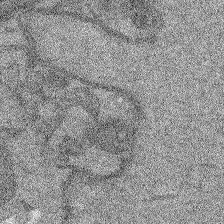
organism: Human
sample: HeLa cells